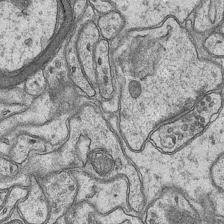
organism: Mouse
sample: CA1 Hippocampus